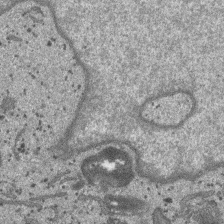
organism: Human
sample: Lung epithelial cells infected with SARS-CoV-2